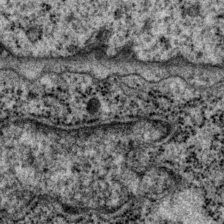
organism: P. pacificus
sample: Pharynx